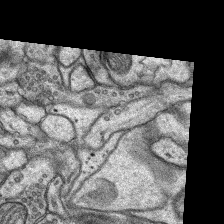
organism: Rat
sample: Hippocampus